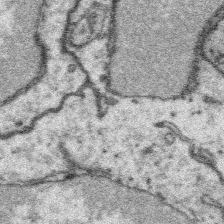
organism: Platynereis dumerilii